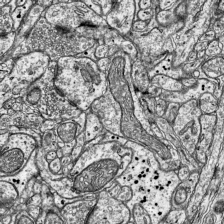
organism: Mouse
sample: Visual Cortex